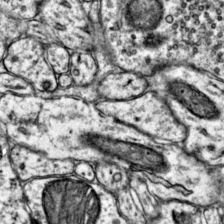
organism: Mouse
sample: Primary visual cortex